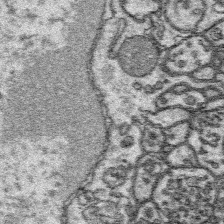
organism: Platynereis dumerilii